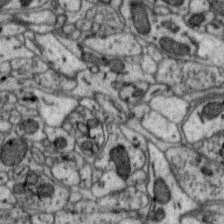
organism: Zebra finch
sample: Brain